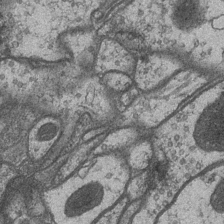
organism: Drosophila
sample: Optic medulla